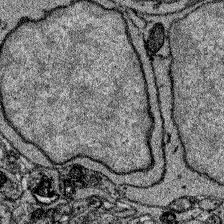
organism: Zebrafish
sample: Larval olfactory bulb